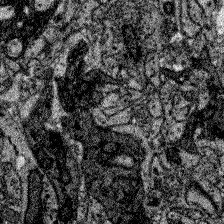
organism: Zebrafish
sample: Larval olfactory bulb